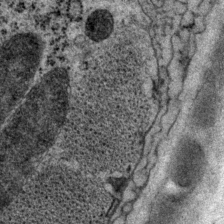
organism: P. pacificus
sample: Pharynx